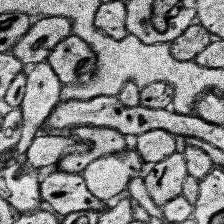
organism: Human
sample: Temporal Lobe